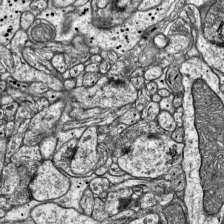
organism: Mouse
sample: Visual Cortex